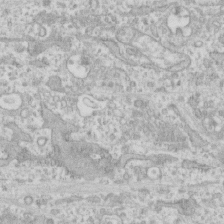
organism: Human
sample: CRL-1474